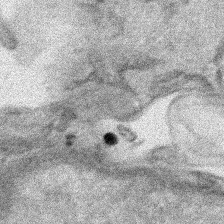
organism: Human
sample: Mitochondria in HCT116 cells